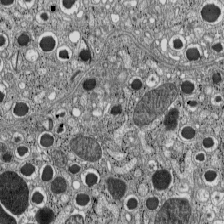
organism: C57BL Mouse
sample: Pancreatic islet